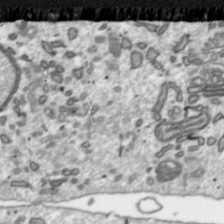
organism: Toxoplasma gondii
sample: Parasites in a vacuole inside a host cell